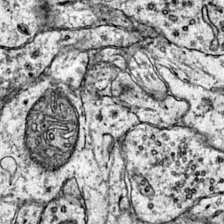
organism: Mouse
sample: Primary visual cortex